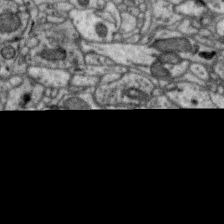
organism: Zebra finch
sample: Brain